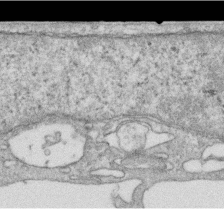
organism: Human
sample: Centriole in RPE cells